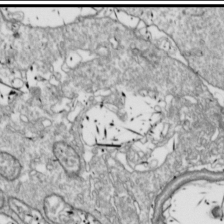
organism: Drosophila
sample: Cell division; meiosis; drosophila spermatocytes